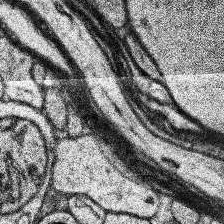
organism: Human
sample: Temporal Lobe